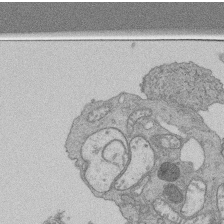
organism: Human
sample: Retinal organoid Rod and Cone cells